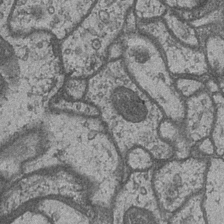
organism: Drosophila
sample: Optic medulla